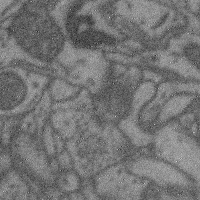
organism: Mouse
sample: Cerebral cortex